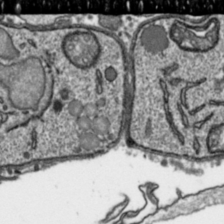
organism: Toxoplasma gondii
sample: Parasites in a vacuole inside a host cell